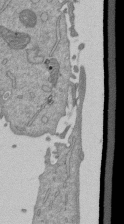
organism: Mouse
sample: ED-1 cell nuclei; centrioles